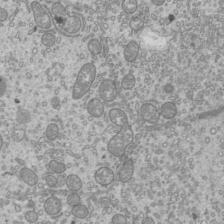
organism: Mouse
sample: Cilia; mouse epididymis